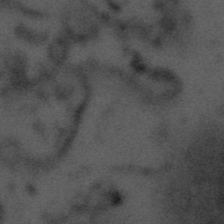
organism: Tuwongella immobilis